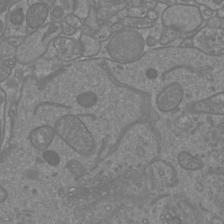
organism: Mouse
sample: Cortical neurons